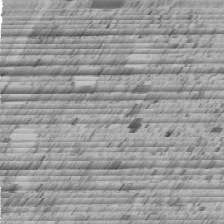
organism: C. elegans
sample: C. elegans embryo early stage